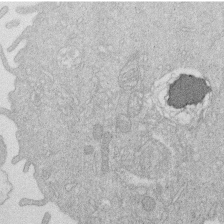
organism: Human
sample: Macrophage cells